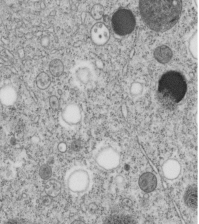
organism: C. elegans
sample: C. elegans embryo early stage